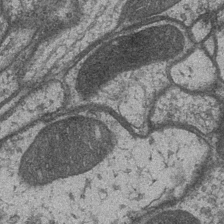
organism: Drosophila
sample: Optic medulla